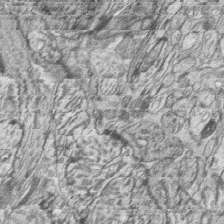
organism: Zebrafish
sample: synaptic ribbons in rod cells and cone cells